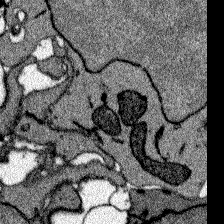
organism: Zebrafish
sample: Larval olfactory bulb